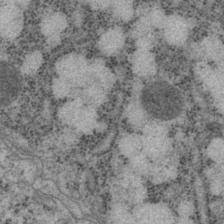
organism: P. pacificus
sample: Pharynx